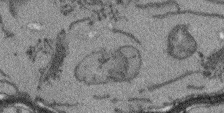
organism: Arabidopsis thaliana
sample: Root tip